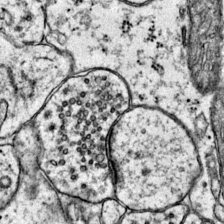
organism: Mouse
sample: Primary visual cortex